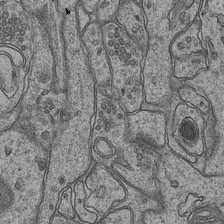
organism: Mouse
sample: CA1 Hippocampus